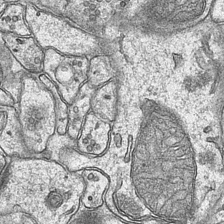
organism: Mouse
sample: CA1 Hippocampus